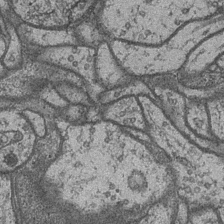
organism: Drosophila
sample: Optic medulla